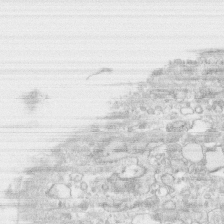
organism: Human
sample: CRL-1474